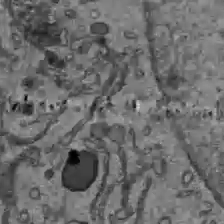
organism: C57BL Mouse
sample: Liver